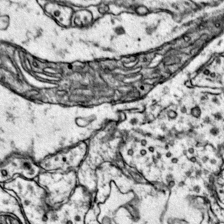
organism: Mouse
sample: Primary visual cortex